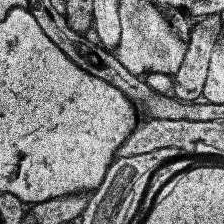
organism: Human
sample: Temporal Lobe